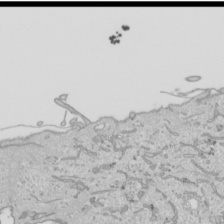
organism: Human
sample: Mitochondria in HCT116 cells